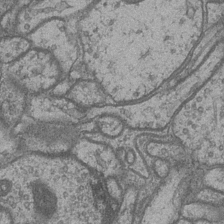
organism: Drosophila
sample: Optic medulla